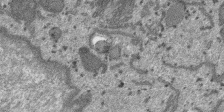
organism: Human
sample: Lung epithelial cells infected with SARS-CoV-2